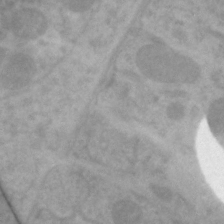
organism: C. elegans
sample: Pharynx